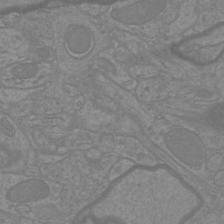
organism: Mouse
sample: Cortical neurons